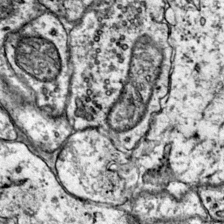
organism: Mouse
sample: Primary visual cortex